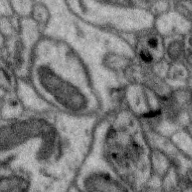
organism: Zebra finch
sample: Brain